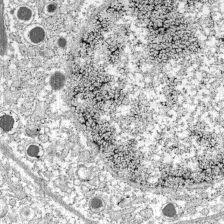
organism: C57BL Mouse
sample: Pancreatic islet